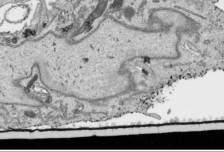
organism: Human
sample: Mitochondria in HCT116 cells